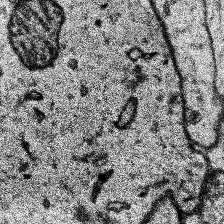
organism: Human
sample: Temporal Lobe